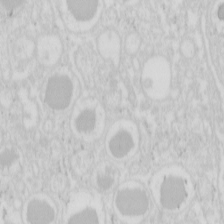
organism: Mouse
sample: Pancreas